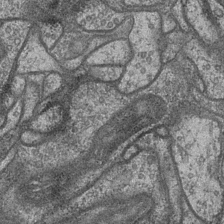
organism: Drosophila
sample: Optic medulla